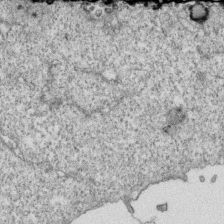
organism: Human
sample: HeLa cell HIV synapse